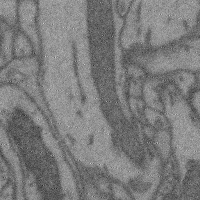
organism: Mouse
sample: Cerebral cortex